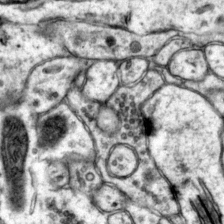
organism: Mouse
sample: Primary visual cortex